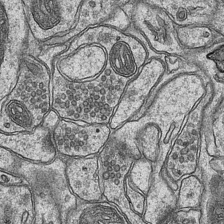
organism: Mouse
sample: CA1 Hippocampus